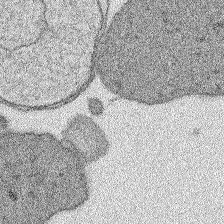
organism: Human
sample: HeLa cells